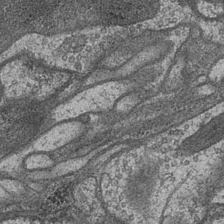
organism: Drosophila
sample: Optic medulla